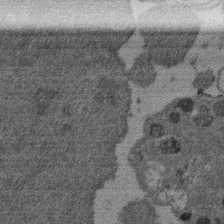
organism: Mouse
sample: Dividing mouse embryo 1 cell stage